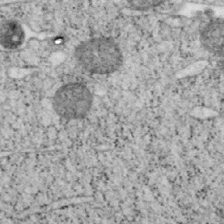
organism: Mouse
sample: OT-I killer T cells with ID8 ovarian cancer cells